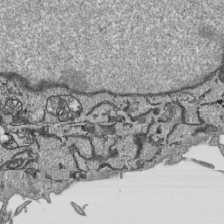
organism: Human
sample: Mitochondria in HCT116 cells